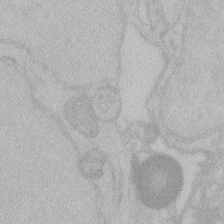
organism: Zebrafish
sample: Macrophage infected with Toxoplasma gondii